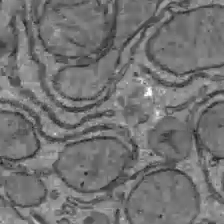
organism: C57BL Mouse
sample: Liver